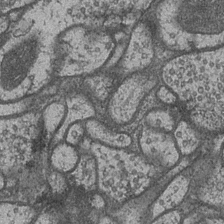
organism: Drosophila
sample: Optic medulla